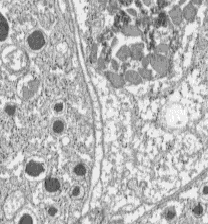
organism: C57BL Mouse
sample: Pancreatic islet